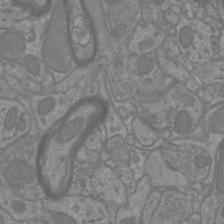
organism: Mouse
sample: Cortical neurons